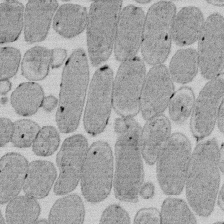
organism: E. coli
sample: Bacterial nucleoid